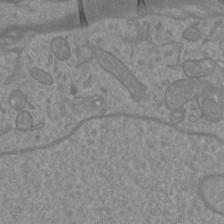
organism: Mouse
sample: Cortical neurons